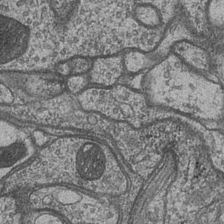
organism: Drosophila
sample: Optic medulla